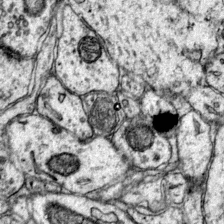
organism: Mouse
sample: Primary visual cortex